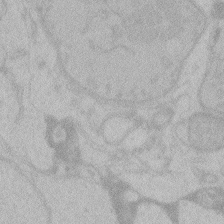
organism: Zebrafish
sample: Macrophage infected with Toxoplasma gondii